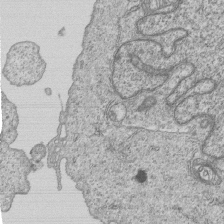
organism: Human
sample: MDA-MB-231 cells